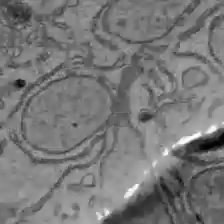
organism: C57BL Mouse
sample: Liver